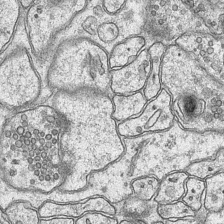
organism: Mouse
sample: CA1 Hippocampus